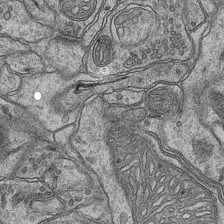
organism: Mouse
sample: CA1 Hippocampus